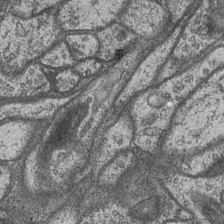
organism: Drosophila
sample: Optic medulla